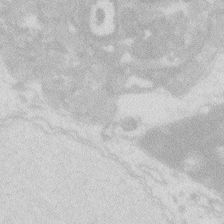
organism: Zebrafish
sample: Macrophage